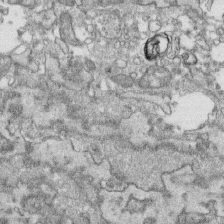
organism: Human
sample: CRL-1474